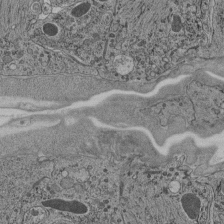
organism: C. elegans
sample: C. elegans pharynx